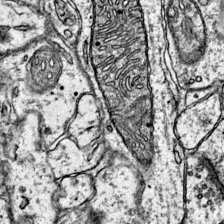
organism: Mouse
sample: Primary visual cortex